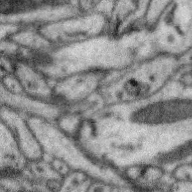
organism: Zebra finch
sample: Brain